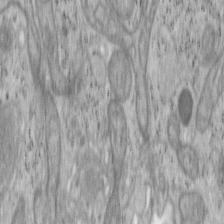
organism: Human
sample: HeLa cells